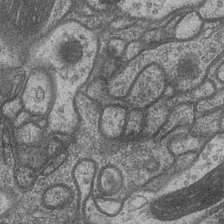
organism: Drosophila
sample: Optic medulla